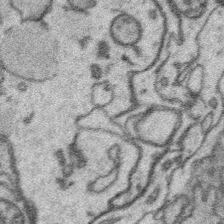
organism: Platynereis dumerilii